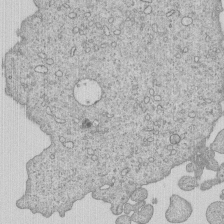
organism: Human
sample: MDA-MB-231 cells